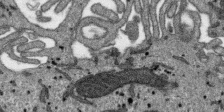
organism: Human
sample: Lung epithelial cells, uninfected (mock) control